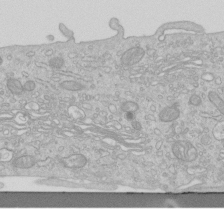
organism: Human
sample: Centriole in RPE cells